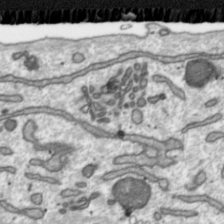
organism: Toxoplasma gondii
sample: Parasites in a vacuole inside a host cell